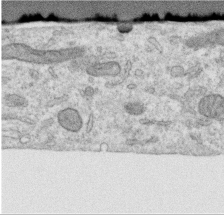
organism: Human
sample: Centriole in RPE cells